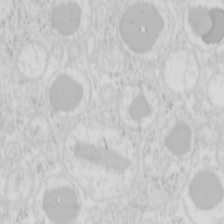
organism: Mouse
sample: Pancreas